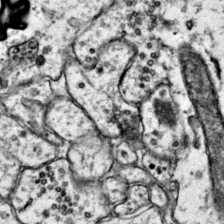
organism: Mouse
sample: Primary visual cortex